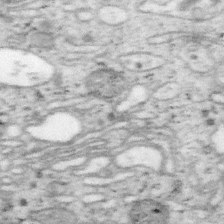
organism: Mouse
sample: OT-I killer T cells with ID8 ovarian cancer cells